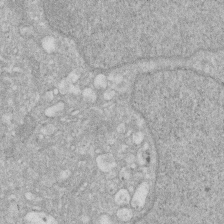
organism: Human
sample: HIV infected U937 cells